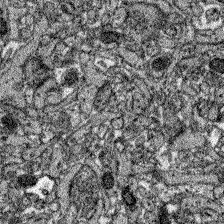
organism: Zebrafish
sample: Larval olfactory bulb